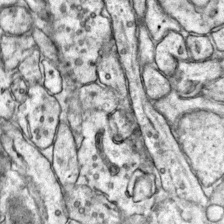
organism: Mouse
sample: Primary visual cortex